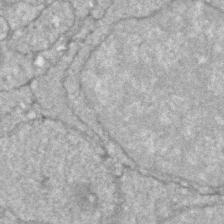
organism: Zebrafish